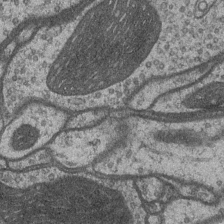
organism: Drosophila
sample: Optic medulla